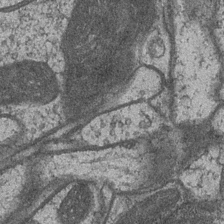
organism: Drosophila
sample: Optic medulla